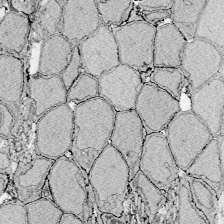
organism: Zebrafish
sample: Whole-Brain